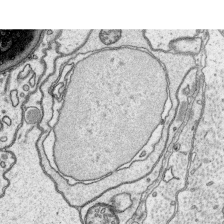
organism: Platynereis dumerilii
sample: Parapodia